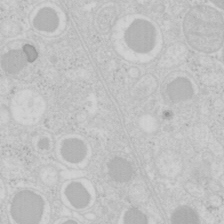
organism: Mouse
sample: Pancreas